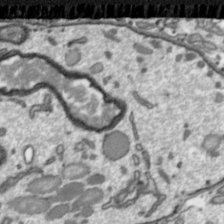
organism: Toxoplasma gondii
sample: Parasites in a vacuole inside a host cell